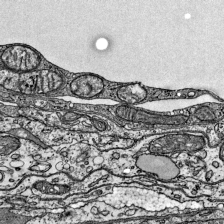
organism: Mouse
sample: Visual Cortex